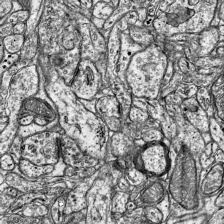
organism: Mouse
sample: Visual Cortex